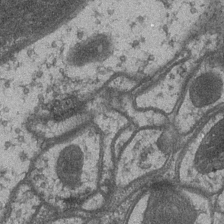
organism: Drosophila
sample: Optic medulla